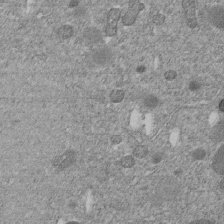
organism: C. elegans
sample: C. elegans embryo early stage